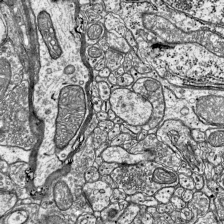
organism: Mouse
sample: Visual Cortex